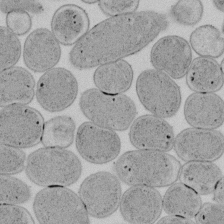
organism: E. coli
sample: Bacterial nucleoid